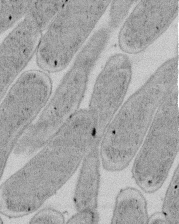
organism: E. coli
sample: Bacterial nucleoid